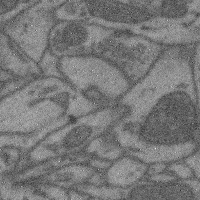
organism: Mouse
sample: Cerebral cortex